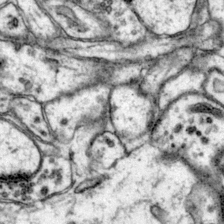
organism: Mouse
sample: Primary visual cortex